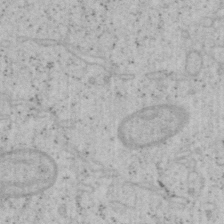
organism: Human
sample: HeLa cells